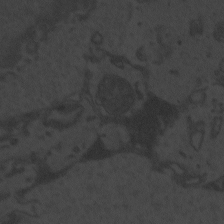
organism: Zebrafish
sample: Macrophage infected with Toxoplasma gondii